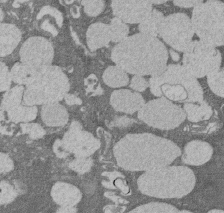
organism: Rat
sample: Salivary granule